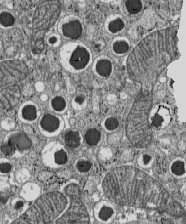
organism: C57BL Mouse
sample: Pancreatic islet